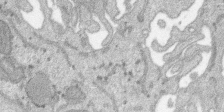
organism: Human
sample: Lung epithelial cells infected with SARS-CoV-2